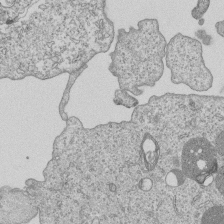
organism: Human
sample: MDA-MB-231 cells